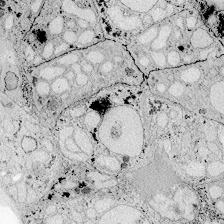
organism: Zebrafish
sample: Whole-Brain